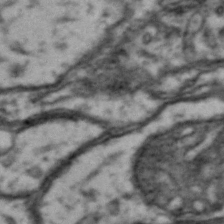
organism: Drosophila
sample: Brain